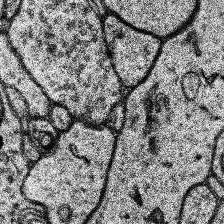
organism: Human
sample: Temporal Lobe